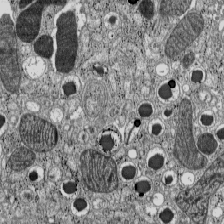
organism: C57BL Mouse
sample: Pancreatic islet